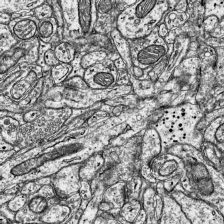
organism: Mouse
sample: Visual Cortex